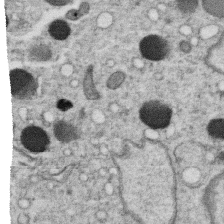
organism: C. elegans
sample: C. elegans oocyte; sperm cells